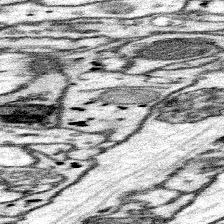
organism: Mouse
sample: Somatosensory cortex neuropil